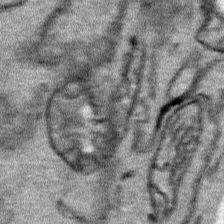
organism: Human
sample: Mitochondria in HCT116 cells